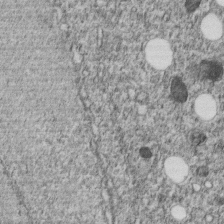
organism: C. elegans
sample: C. elegans embryo early stage